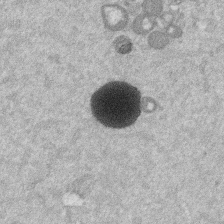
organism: Mouse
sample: Dividing mouse embryo 1 cell stage